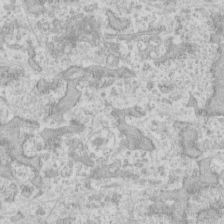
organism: Human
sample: Fibroblast cells